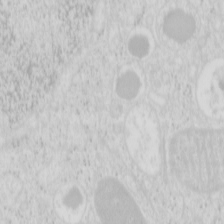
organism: Mouse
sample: Pancreas